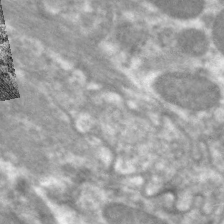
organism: C. elegans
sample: Pharynx